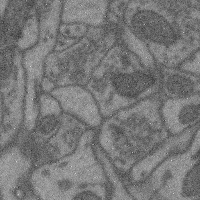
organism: Mouse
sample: Cerebral cortex